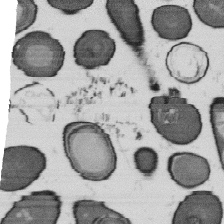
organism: B. subtilis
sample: Bacterial spore